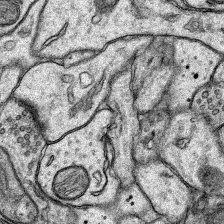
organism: Rat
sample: Hippocampus